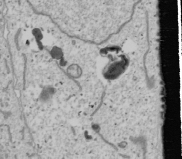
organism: Human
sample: Mitochondria in U2OS cells